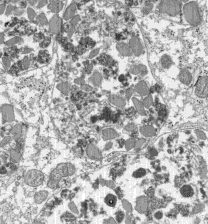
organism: C57BL Mouse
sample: Pancreatic islet